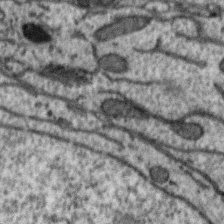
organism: Zebra finch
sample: Brain